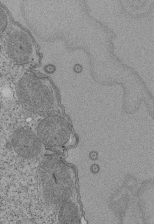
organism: Tetrahymena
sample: Cilia in tetrahymena